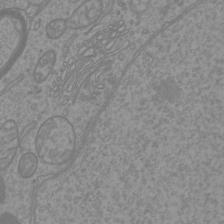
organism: Mouse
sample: Cortical neurons